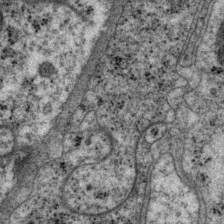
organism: P. pacificus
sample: Pharynx